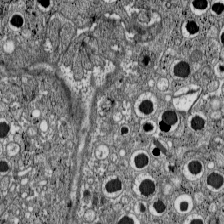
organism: C57BL Mouse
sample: Pancreatic islet